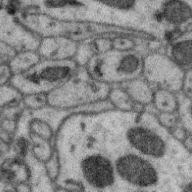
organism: Zebra finch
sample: Brain